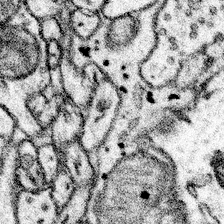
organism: Mouse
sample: Somatosensory cortex neuropil